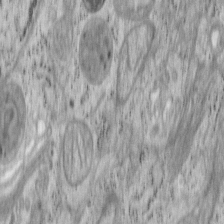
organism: Human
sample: HeLa cells